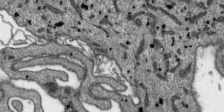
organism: Human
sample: Lung epithelial cells, uninfected (mock) control